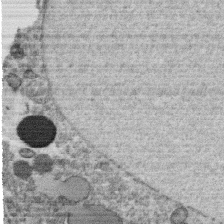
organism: C. elegans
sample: C. elegans oocyte; sperm cells